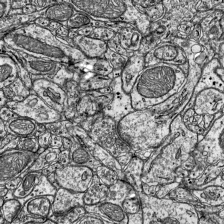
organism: Mouse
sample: Visual Cortex